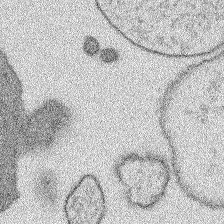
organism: Human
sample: HeLa cells